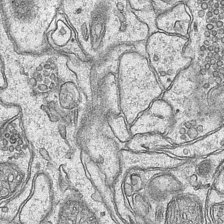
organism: Mouse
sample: CA1 Hippocampus